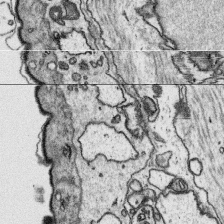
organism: Platynereis dumerilii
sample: Parapodia